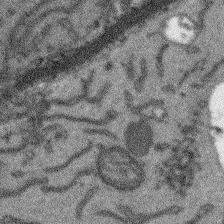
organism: Arabidopsis thaliana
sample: Root tip